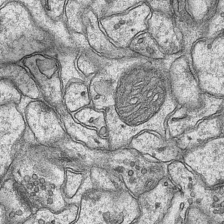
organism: Mouse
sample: CA1 Hippocampus